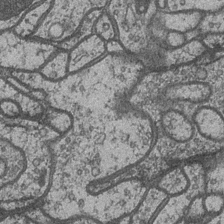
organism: Drosophila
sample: Optic medulla